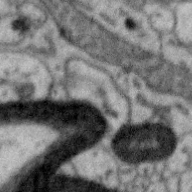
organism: Zebra finch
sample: Brain